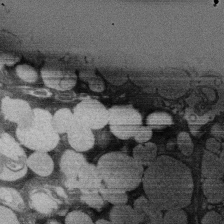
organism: Rat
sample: Salivary granule